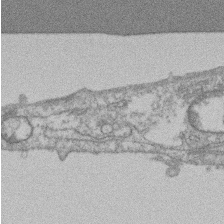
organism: Mouse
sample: T cell stromal cell synapse